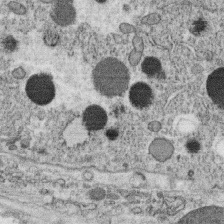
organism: C. elegans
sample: C. elegans oocyte; sperm cells